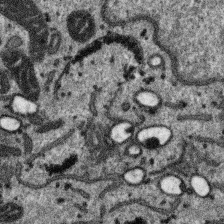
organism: Human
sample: Lung epithelial cells infected with SARS-CoV-2